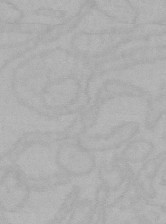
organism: Mouse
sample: Choroid plexus